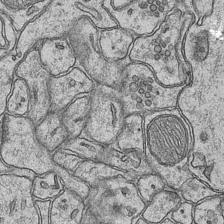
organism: Mouse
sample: CA1 Hippocampus